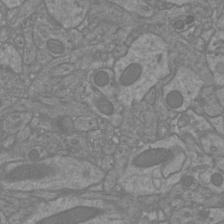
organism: Mouse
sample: Cortical neurons